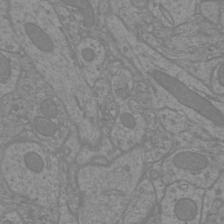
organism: Mouse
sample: Cortical neurons